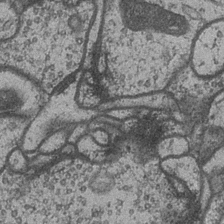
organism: Drosophila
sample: Optic medulla